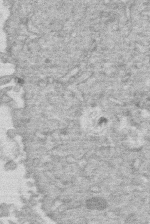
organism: Human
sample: Macrophage cells